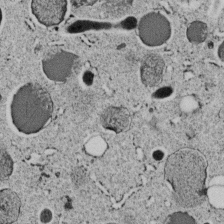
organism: C. elegans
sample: C. elegans embryo early stage